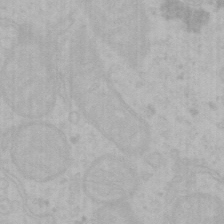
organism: Mouse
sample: Choroid plexus